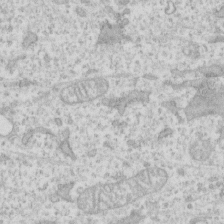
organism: Human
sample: Fibroblast cells